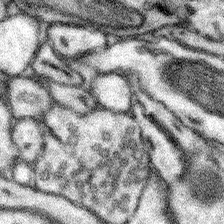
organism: Mouse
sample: Somatosensory cortex neuropil